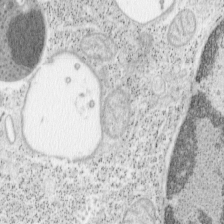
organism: Mouse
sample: OT-I killer T cells with ID8 ovarian cancer cells